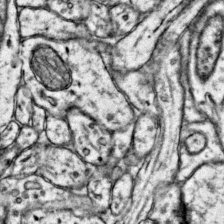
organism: Mouse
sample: Primary visual cortex